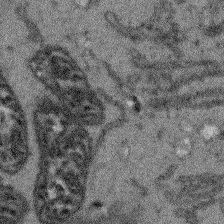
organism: Arabidopsis thaliana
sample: Root tip